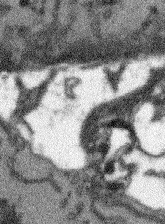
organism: Arabidopsis thaliana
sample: Root tip